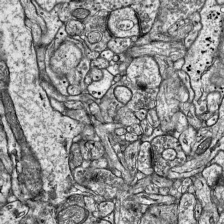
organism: Mouse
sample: Visual Cortex